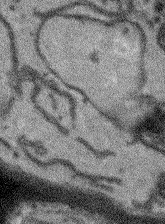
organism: Arabidopsis thaliana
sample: Root tip